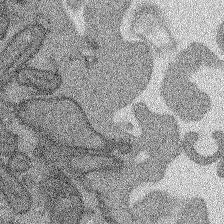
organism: Human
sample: HeLa cells